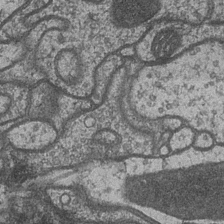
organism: Drosophila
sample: Optic medulla